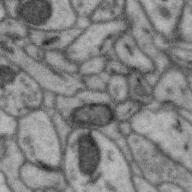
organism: Zebra finch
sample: Brain